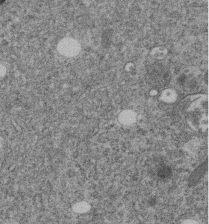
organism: C. elegans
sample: C. elegans embryo early stage